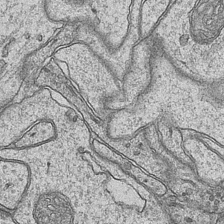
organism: Mouse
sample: CA1 Hippocampus